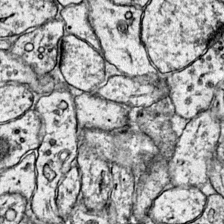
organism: Mouse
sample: Primary visual cortex